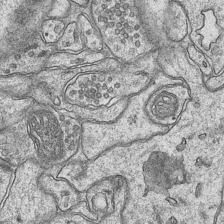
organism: Mouse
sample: CA1 Hippocampus